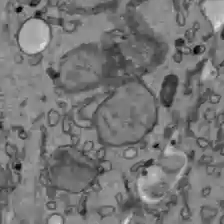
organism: C57BL Mouse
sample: Liver